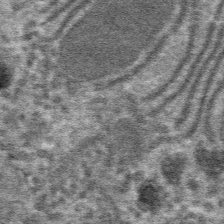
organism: Mouse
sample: Mouse hepatocytes